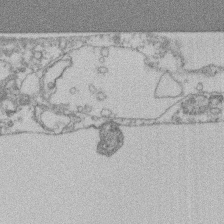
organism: Mouse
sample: T cell stromal cell synapse